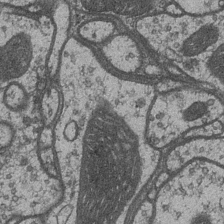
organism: Drosophila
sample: Optic medulla